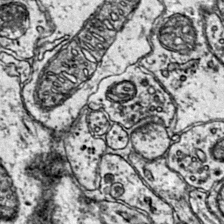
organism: Mouse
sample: Primary visual cortex